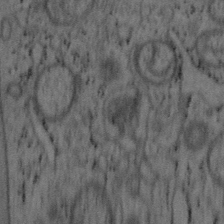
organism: Human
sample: HeLa cells